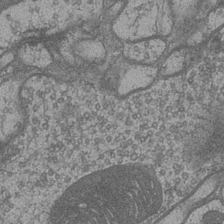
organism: Drosophila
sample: Optic medulla